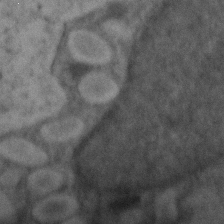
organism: Zebrafish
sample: Zebrafish embryo